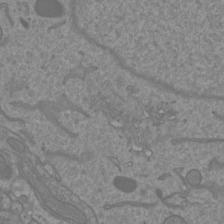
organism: Mouse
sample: Cortical neurons